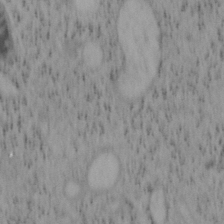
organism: Mouse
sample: OT-I killer T cells with ID8 ovarian cancer cells